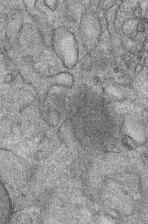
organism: Mouse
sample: Mouse Salivary gland